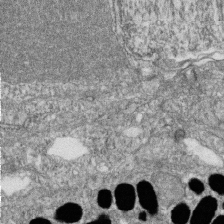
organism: Zebrafish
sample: Cilia; retinal pigment epithelium